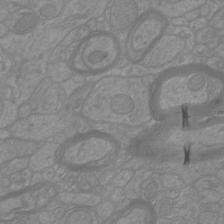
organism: Mouse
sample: Cortical neurons